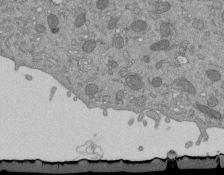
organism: Mouse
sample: ED-1 cell nuclei; centrioles